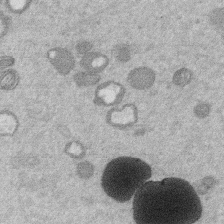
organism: Mouse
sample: Dividing mouse embryo 1 cell stage